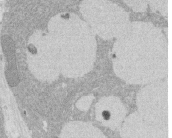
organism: Rat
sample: Salivary granule